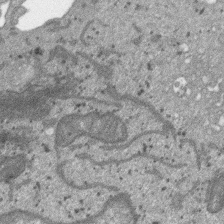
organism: Human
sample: Lung epithelial cells infected with SARS-CoV-2